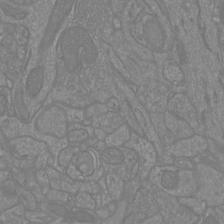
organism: Mouse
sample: Cortical neurons